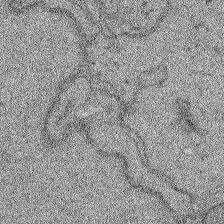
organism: Human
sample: HeLa cells